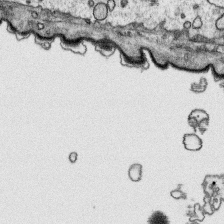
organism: Platynereis dumerilii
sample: Parapodia